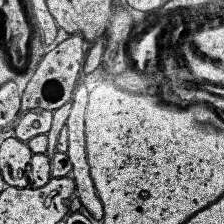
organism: Human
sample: Temporal Lobe